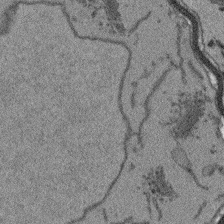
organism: Arabidopsis thaliana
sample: Root tip